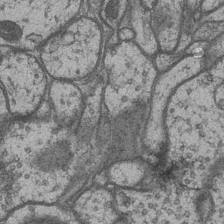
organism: Drosophila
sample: Optic medulla